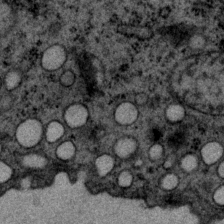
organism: P. pacificus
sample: Pharynx